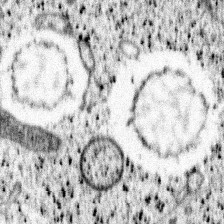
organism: Human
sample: HeLa cells